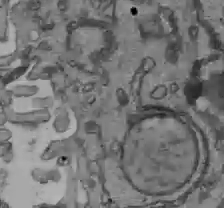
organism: C57BL Mouse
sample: Liver